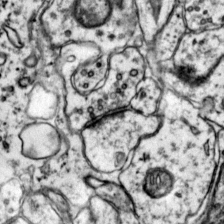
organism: Mouse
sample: Primary visual cortex